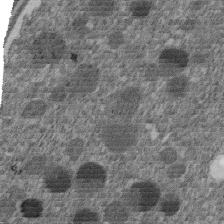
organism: C. elegans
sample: C. elegans embryo early stage